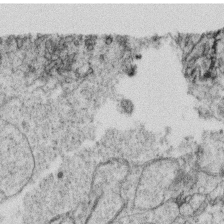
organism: C. elegans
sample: C. elegans oocyte; sperm cells